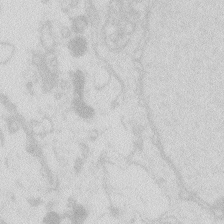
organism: Zebrafish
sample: Macrophage